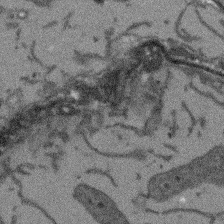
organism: Arabidopsis thaliana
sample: Root tip